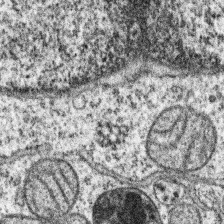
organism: Human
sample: HeLa cells